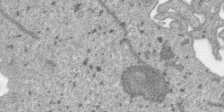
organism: Human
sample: Lung epithelial cells infected with SARS-CoV-2